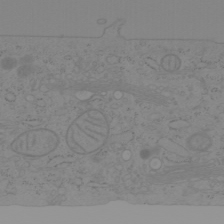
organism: Human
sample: HeLa cells